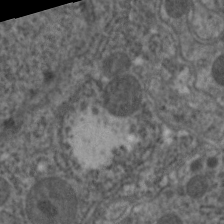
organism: C. elegans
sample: Pharynx